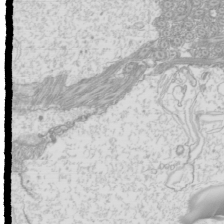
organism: Mouse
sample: Cilia; mouse epididymis